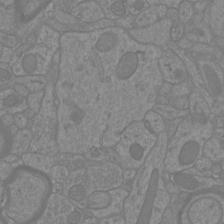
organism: Mouse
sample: Cortical neurons